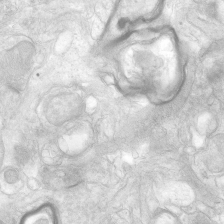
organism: Human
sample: Neocortex